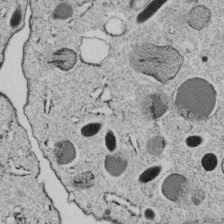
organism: C. elegans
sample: C. elegans embryo early stage